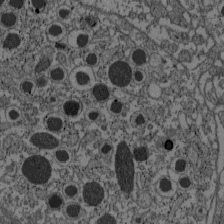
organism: C57BL Mouse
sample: Pancreatic islet